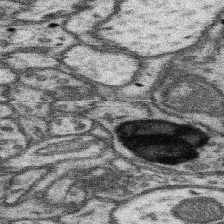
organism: Mouse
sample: Somatosensory cortex neuropil